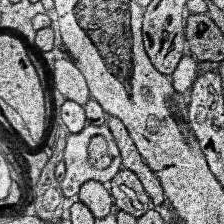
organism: Human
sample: Temporal Lobe